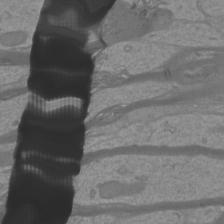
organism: Mouse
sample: Cortical neurons